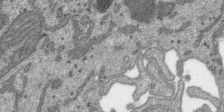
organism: Human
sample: Lung epithelial cells infected with SARS-CoV-2